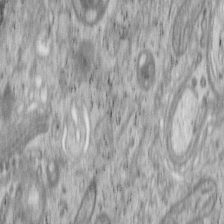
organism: Human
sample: HeLa cells